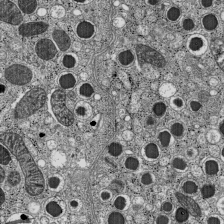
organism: C57BL Mouse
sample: Pancreatic islet